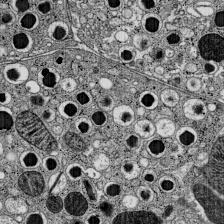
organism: C57BL Mouse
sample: Pancreatic islet